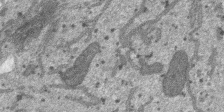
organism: Human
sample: Lung epithelial cells infected with SARS-CoV-2